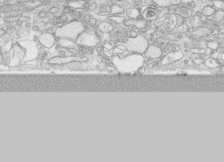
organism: Human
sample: CRL-1474